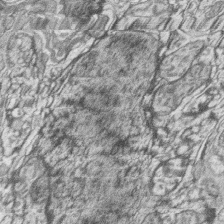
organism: Zebrafish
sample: synaptic ribbons in rod cells and cone cells